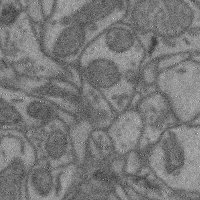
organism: Mouse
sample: Cerebral cortex